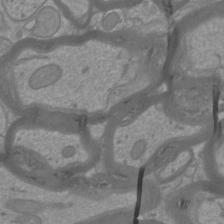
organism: Mouse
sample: Cortical neurons